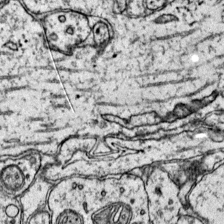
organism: Mouse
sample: Primary visual cortex